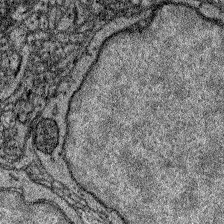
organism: Zebrafish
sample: Larval olfactory bulb